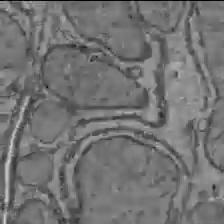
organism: C57BL Mouse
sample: Liver